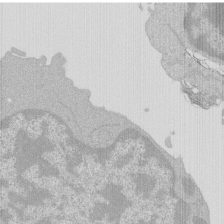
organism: Mouse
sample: Activated Pmel transgenic CD8+ T Cells